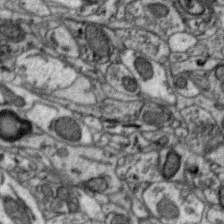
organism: Zebra finch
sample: Brain